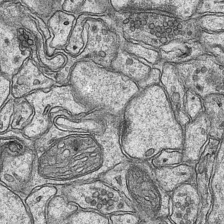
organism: Mouse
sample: CA1 Hippocampus